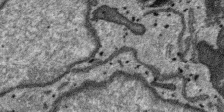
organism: Human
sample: Lung epithelial cells, uninfected (mock) control